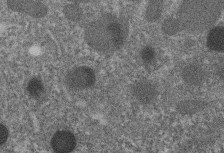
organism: C. elegans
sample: C. elegans embryo early stage